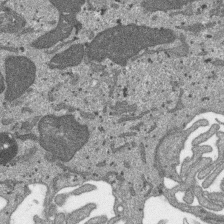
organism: Human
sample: Lung epithelial cells infected with SARS-CoV-2